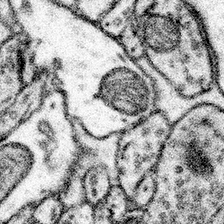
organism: Mouse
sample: Somatosensory cortex neuropil